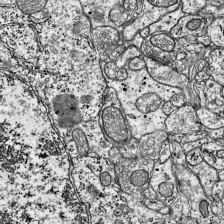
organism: Mouse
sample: Visual Cortex